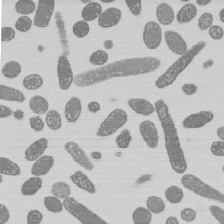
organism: E. coli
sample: Bacterial nucleoid